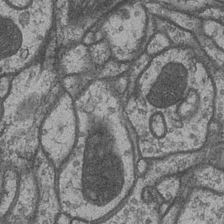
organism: Drosophila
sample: Optic medulla